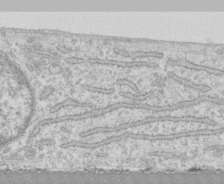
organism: Human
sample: CRL-1474